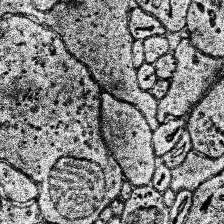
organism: Human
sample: Temporal Lobe